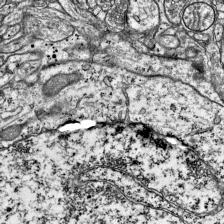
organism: Mouse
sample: Visual Cortex